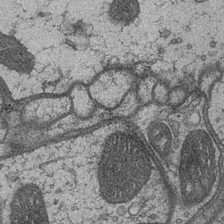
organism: Drosophila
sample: Optic medulla